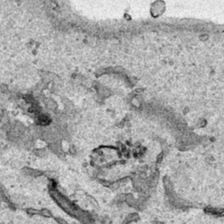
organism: Human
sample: Mitochondria in HCT116 cells